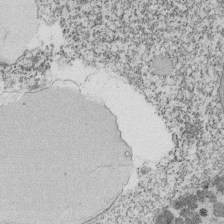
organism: Tetrahymena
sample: Cilia in tetrahymena